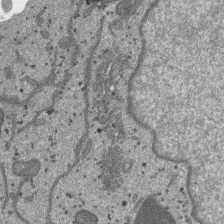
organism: Human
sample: Lung epithelial cells infected with SARS-CoV-2